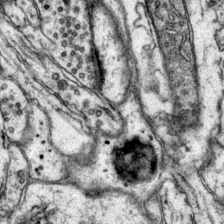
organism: Mouse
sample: Primary visual cortex